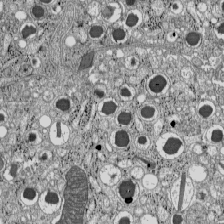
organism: C57BL Mouse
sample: Pancreatic islet